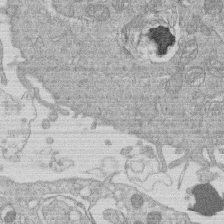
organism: Human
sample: Macrophage cells